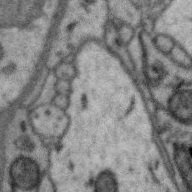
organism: Zebra finch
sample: Brain